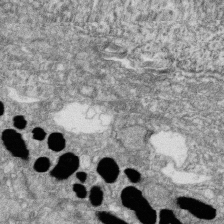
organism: Zebrafish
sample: Cilia; retinal pigment epithelium